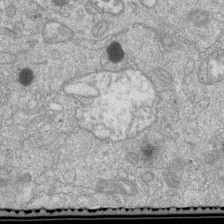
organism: Human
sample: HeLa cell HIV synapse